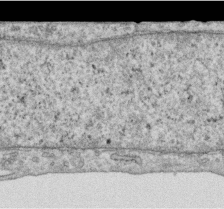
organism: Human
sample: Centriole in RPE cells